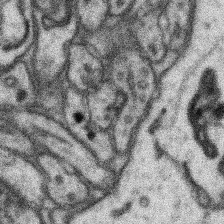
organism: Mouse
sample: Somatosensory cortex neuropil